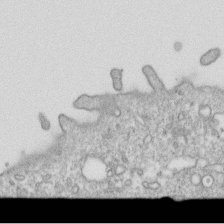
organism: Mouse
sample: Activated OT-1 CD8+ T cells